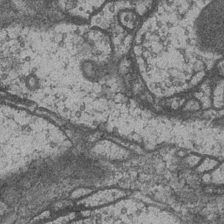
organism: Drosophila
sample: Optic medulla